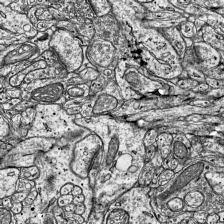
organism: Mouse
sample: Visual Cortex